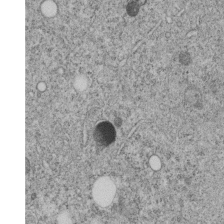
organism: C. elegans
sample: C. elegans embryo early stage